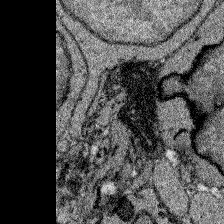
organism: Zebrafish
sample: Larval olfactory bulb